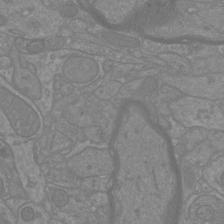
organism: Mouse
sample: Cortical neurons